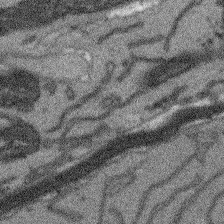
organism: Arabidopsis thaliana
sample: Root tip